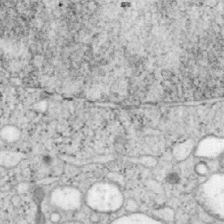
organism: Mouse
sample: OT-I killer T cells with ID8 ovarian cancer cells